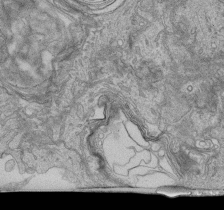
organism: Human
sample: Retinal organoid Rod and Cone cells